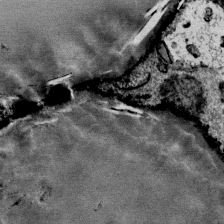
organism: Mouse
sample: Mouse Salivary gland